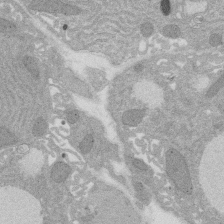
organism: Rat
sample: Salivary granule